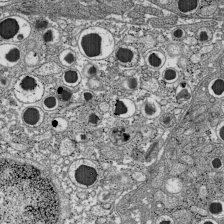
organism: C57BL Mouse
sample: Pancreatic islet